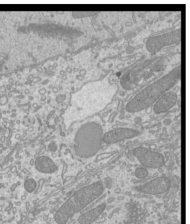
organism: Mouse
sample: Cilia; mouse epididymis